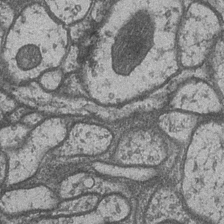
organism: Drosophila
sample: Optic medulla